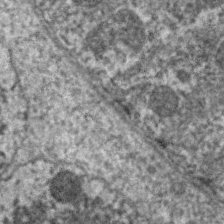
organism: C. elegans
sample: Pharynx